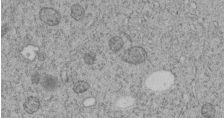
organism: C. elegans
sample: C. elegans embryo early stage